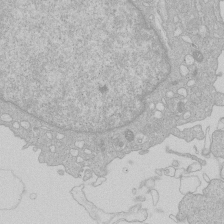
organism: Human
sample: Macrophage cells